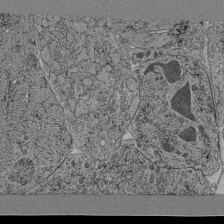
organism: C. elegans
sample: C. elegans pharynx